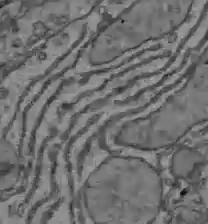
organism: C57BL Mouse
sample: Liver